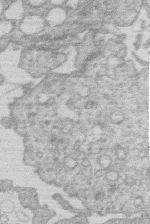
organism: Human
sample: Macrophage cells